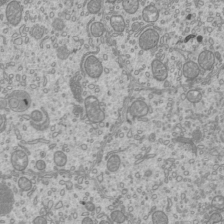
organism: Mouse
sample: Cilia; mouse epididymis